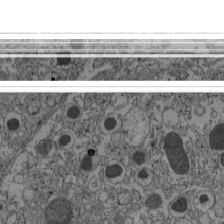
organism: C57BL Mouse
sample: Pancreatic islet